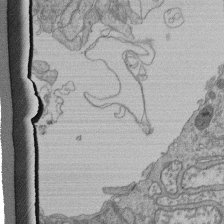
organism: Human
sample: Retinal organoid Rod and Cone cells